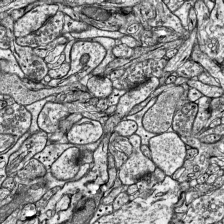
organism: Mouse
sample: Visual Cortex